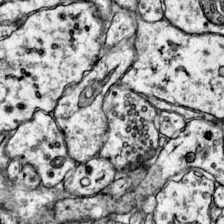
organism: Mouse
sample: Primary visual cortex